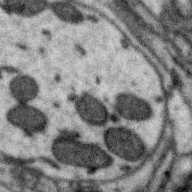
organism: Zebra finch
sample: Brain